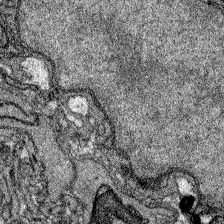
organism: Zebrafish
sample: Larval olfactory bulb